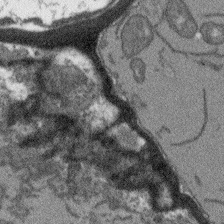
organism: Arabidopsis thaliana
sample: Root tip